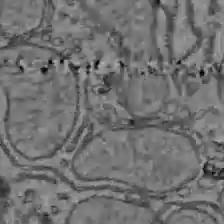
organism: C57BL Mouse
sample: Liver